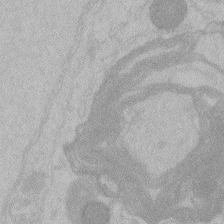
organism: Zebrafish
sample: Macrophage infected with Toxoplasma gondii